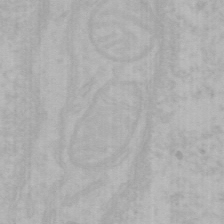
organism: Mouse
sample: Choroid plexus